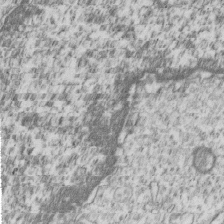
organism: Human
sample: MDA-MB-231 cells